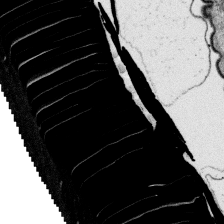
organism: Platynereis dumerilii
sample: Parapodia